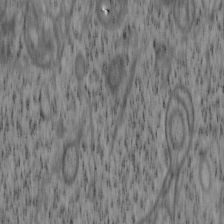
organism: Human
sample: HeLa cells